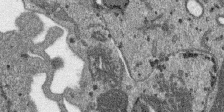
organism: Human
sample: Lung epithelial cells infected with SARS-CoV-2